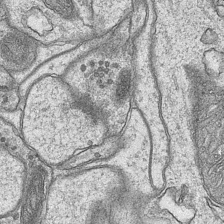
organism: Mouse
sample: CA1 Hippocampus